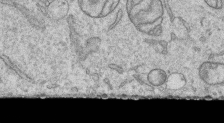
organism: Human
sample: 1205lu cells